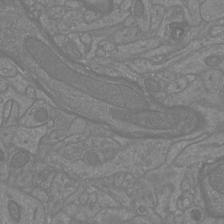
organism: Mouse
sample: Cortical neurons